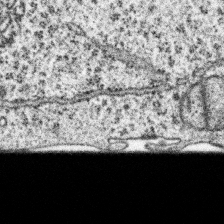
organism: Human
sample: HeLa cells